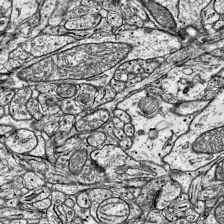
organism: Mouse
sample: Visual Cortex